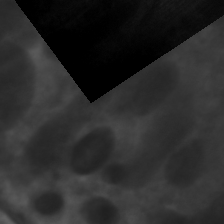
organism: C. elegans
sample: Pharynx